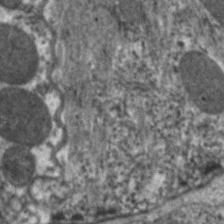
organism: C. elegans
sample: Pharynx